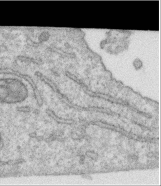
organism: Human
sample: Centriole in RPE cells